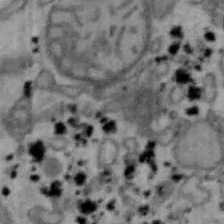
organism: Mouse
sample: Liver